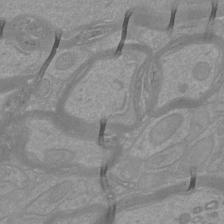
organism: Mouse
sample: Cortical neurons